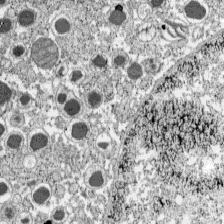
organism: C57BL Mouse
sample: Pancreatic islet